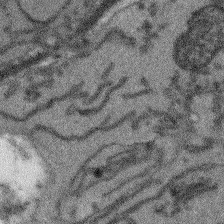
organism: Arabidopsis thaliana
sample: Root tip